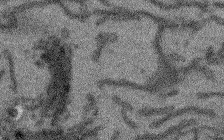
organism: Arabidopsis thaliana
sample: Root tip